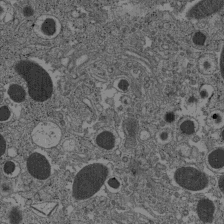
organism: C57BL Mouse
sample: Pancreatic islet